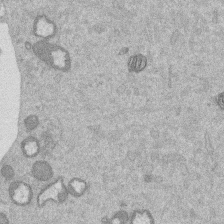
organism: Mouse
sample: Dividing mouse embryo 1 cell stage